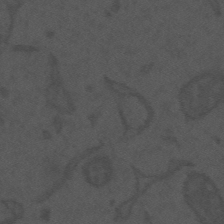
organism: Mouse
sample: Suprachiasmatic nucleus